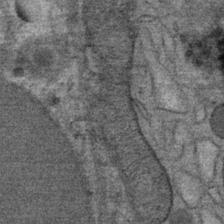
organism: Mouse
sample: Mouse Salivary gland